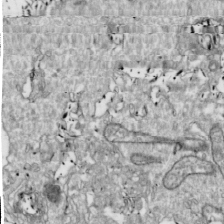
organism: Drosophila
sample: Cell division; meiosis; drosophila spermatocytes